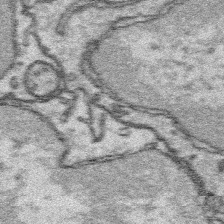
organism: Platynereis dumerilii